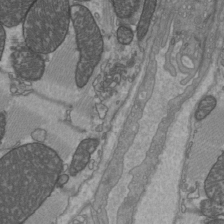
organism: C57BL Mouse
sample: Heart